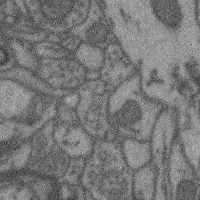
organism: Mouse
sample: Cerebral cortex